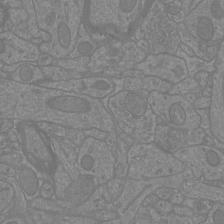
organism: Mouse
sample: Cortical neurons